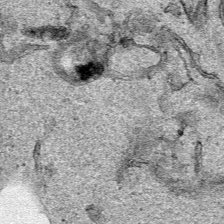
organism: Human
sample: Mitochondria in HCT116 cells